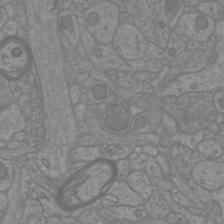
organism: Mouse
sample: Cortical neurons